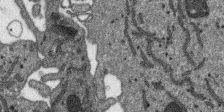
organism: Human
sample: Lung epithelial cells infected with SARS-CoV-2